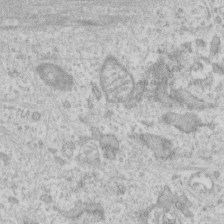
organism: Human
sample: Fibroblast cells